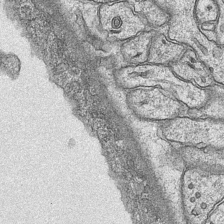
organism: Mouse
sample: CA1 Hippocampus